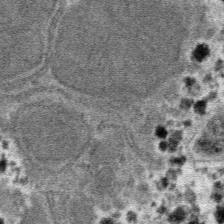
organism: Mouse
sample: Mouse hepatocytes